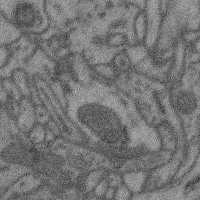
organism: Mouse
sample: Cerebral cortex